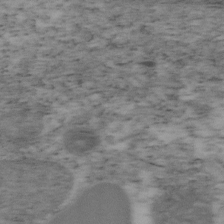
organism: Mouse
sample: OT-I killer T cells with ID8 ovarian cancer cells